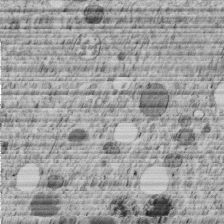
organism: C. elegans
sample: C. elegans embryo early stage